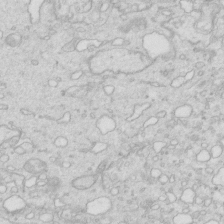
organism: Mouse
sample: Multiciliated cells